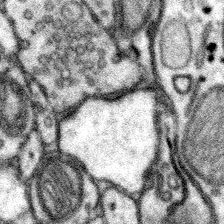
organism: Mouse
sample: Somatosensory cortex neuropil